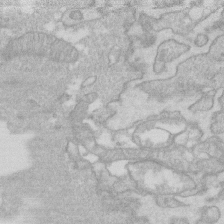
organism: Human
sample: Fibroblast cells